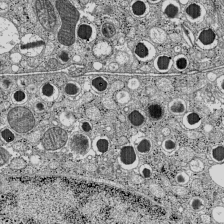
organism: C57BL Mouse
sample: Pancreatic islet